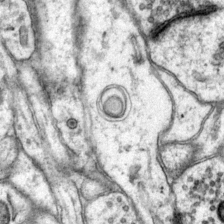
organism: Mouse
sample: Primary visual cortex